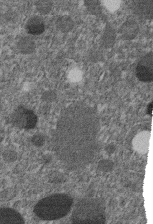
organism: C. elegans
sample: C. elegans embryo early stage